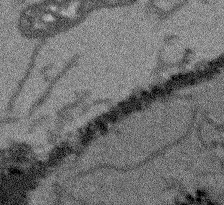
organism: Arabidopsis thaliana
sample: Root tip